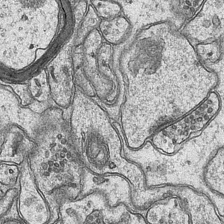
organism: Mouse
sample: CA1 Hippocampus